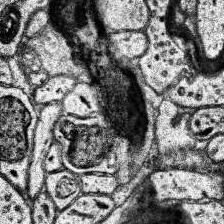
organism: Human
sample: Temporal Lobe